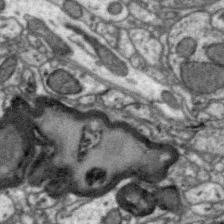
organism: Zebra finch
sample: Brain